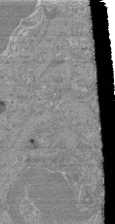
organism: Mouse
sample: Glomerulus